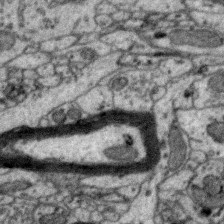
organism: Zebra finch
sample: Brain